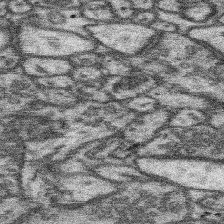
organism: Mouse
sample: Somatosensory cortex neuropil